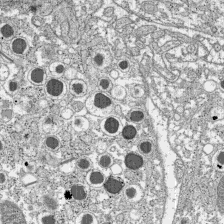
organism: C57BL Mouse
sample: Pancreatic islet